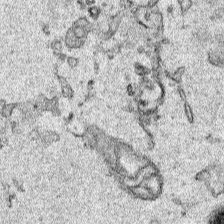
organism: Human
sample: Mitochondria in HCT116 cells